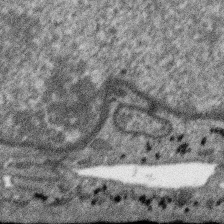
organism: Human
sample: Lung epithelial cells infected with SARS-CoV-2